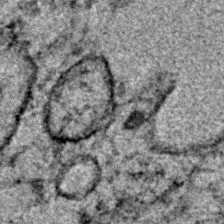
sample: Trachea